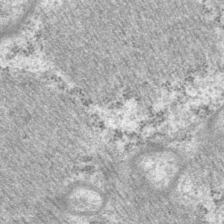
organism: P. pacificus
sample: Pharynx